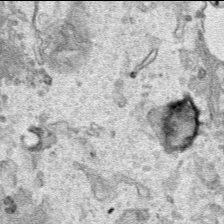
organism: Human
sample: Mitochondria in HCT116 cells